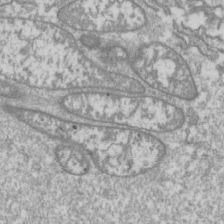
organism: Drosophila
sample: Cell division; meiosis; drosophila spermatocytes